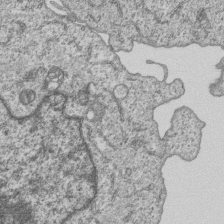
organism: Human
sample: MDA-MB-231 cells